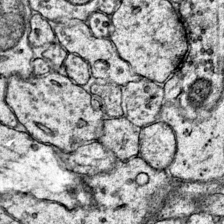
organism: Mouse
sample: Primary visual cortex